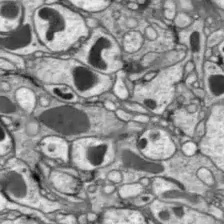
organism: Drosophila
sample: Optic lobe